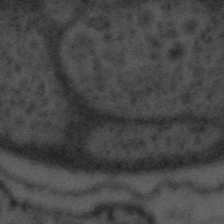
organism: Tuwongella immobilis